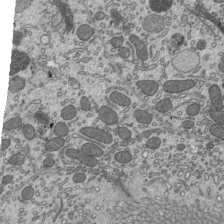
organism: Mouse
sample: Mouse epididymis efferent ductule cilia